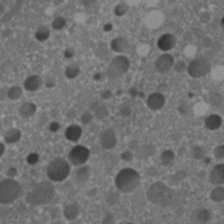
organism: C. elegans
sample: C. elegans embryo